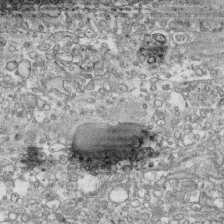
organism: Human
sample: CRL-1474